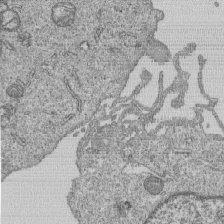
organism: Human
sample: MDA-MB-231 cells